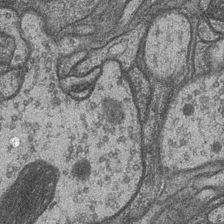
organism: Drosophila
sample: Optic medulla